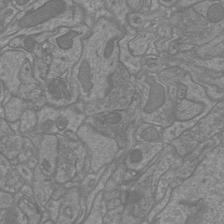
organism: Mouse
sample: Cortical neurons